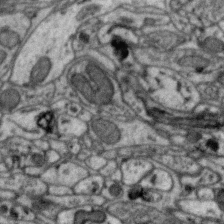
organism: Zebra finch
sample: Brain